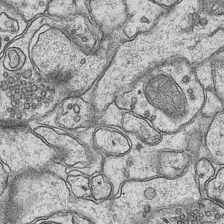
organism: Mouse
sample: CA1 Hippocampus